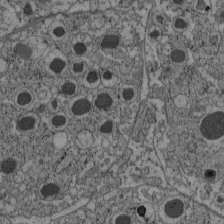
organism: C57BL Mouse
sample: Pancreatic islet